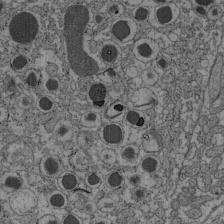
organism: C57BL Mouse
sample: Pancreatic islet